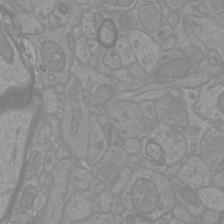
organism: Mouse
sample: Cortical neurons